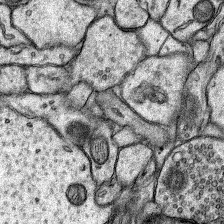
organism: Rat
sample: Hippocampus